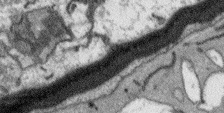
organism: Arabidopsis thaliana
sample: Root tip